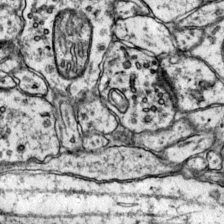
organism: Mouse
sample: Primary visual cortex